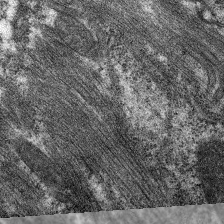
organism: C. elegans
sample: Pharynx